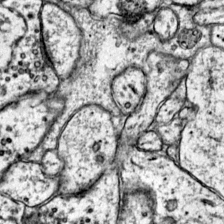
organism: Mouse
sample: Primary visual cortex